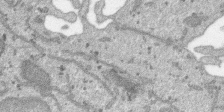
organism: Human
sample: Lung epithelial cells infected with SARS-CoV-2